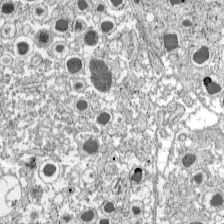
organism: C57BL Mouse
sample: Pancreatic islet